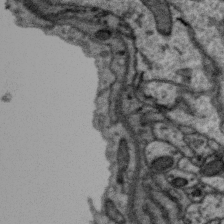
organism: Zebra finch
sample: Brain